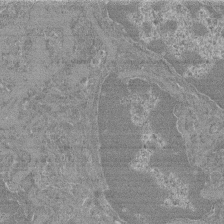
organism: Mouse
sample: Glomerulus